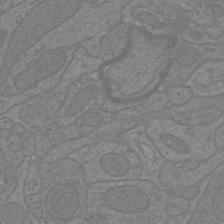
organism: Mouse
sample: Cortical neurons